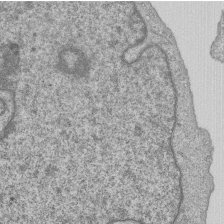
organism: Human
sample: MDA-MB-231 cells